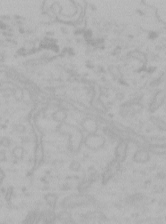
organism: Mouse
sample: Choroid plexus